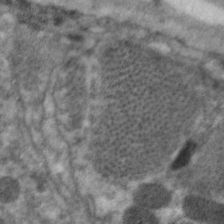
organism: C. elegans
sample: Pharynx